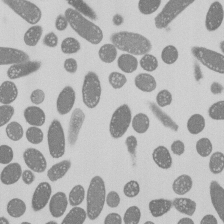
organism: E. coli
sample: Bacterial nucleoid